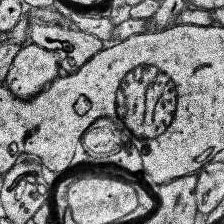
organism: Human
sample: Temporal Lobe